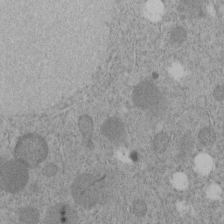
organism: C. elegans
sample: C. elegans embryo early stage